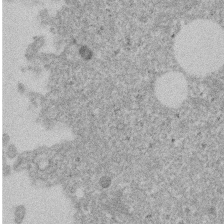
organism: Mouse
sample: Dividing mouse embryo 1 cell stage